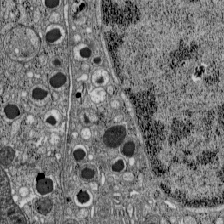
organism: C57BL Mouse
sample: Pancreatic islet